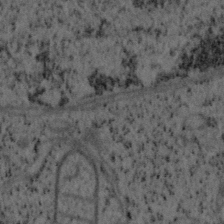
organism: Human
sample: HeLa cells